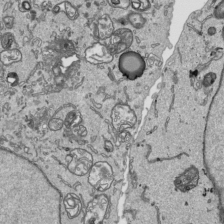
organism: Human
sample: Mitochondria in HCT116 cells